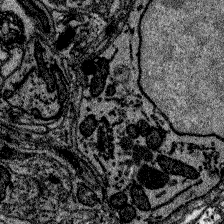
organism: Zebrafish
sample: Larval olfactory bulb